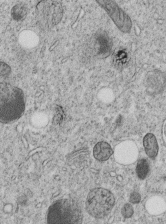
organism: C. elegans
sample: C. elegans embryo early stage